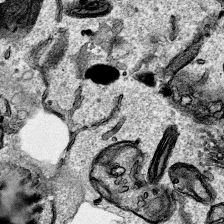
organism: Human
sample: Mitochondria in HCT116 cells